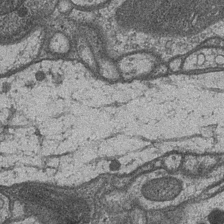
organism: Drosophila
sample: Optic medulla